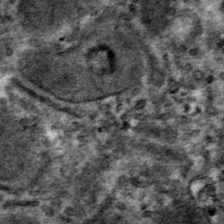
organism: Mouse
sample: Mouse hepatocytes